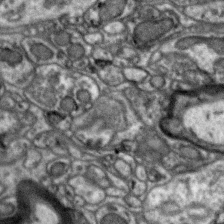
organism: Zebra finch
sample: Brain